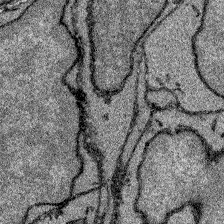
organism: Zebrafish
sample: Larval olfactory bulb